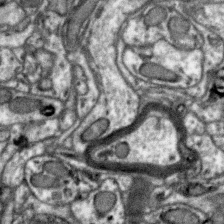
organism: Zebra finch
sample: Brain